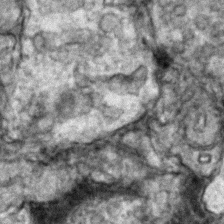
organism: Zebrafish